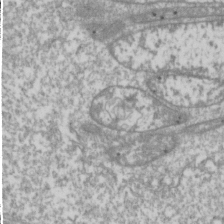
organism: Drosophila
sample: Cell division; meiosis; drosophila spermatocytes